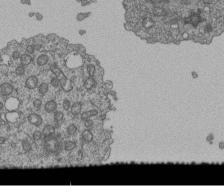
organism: Human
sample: Retinal organoid Rod and Cone cells